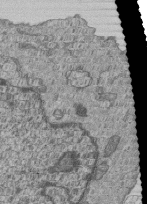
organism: Human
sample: MDA-MB-231 cells